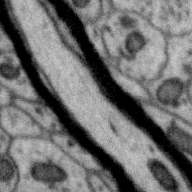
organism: Zebra finch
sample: Brain